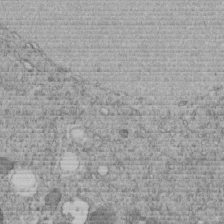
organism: C. elegans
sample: C. elegans embryo early stage